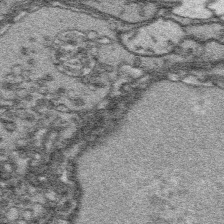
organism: Platynereis dumerilii